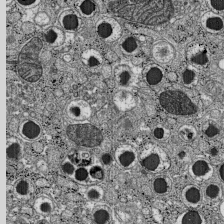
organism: C57BL Mouse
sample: Pancreatic islet